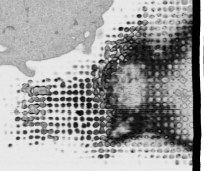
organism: Human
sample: Mitochondria in HCT116 cells